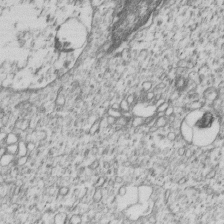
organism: Human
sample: MDA-MB-231 cells